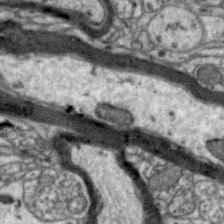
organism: Zebra finch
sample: Brain